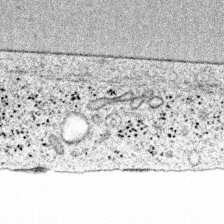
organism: Human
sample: HeLa cells